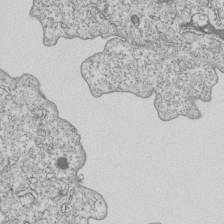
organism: Human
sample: MDA-MB-231 cells